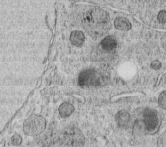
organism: C. elegans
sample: C. elegans embryo early stage